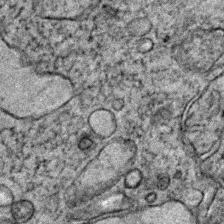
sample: Trachea